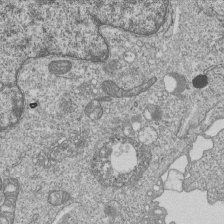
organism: Human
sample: MDA-MB-231 cells